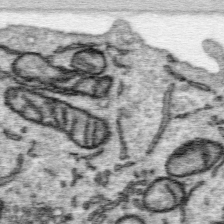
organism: Human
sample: HeLa cells